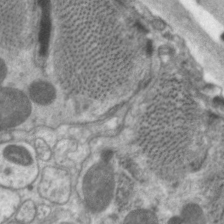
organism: C. elegans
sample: Pharynx